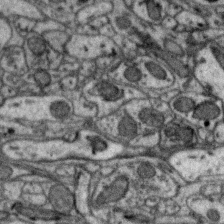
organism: Zebra finch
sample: Brain